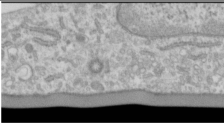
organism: Human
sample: Cilia; basal body in RPE cells